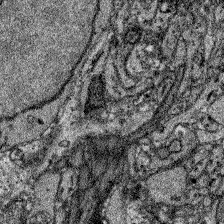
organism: Zebrafish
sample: Larval olfactory bulb